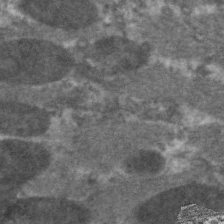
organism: C. elegans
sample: Pharynx